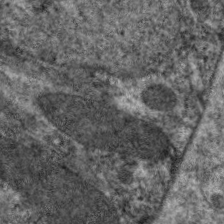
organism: C. elegans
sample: Pharynx